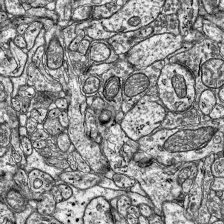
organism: Mouse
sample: Visual Cortex